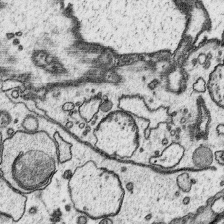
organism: Platynereis dumerilii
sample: Parapodia